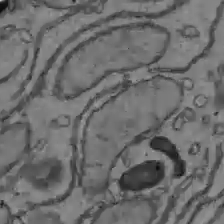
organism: C57BL Mouse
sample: Liver